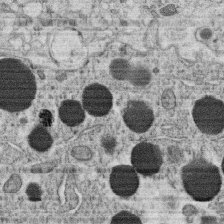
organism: C. elegans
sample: C. elegans oocyte; sperm cells